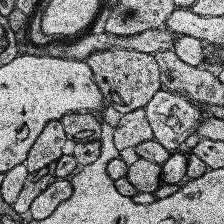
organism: Human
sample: Temporal Lobe